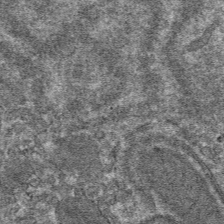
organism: Mouse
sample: Mouse hepatocytes